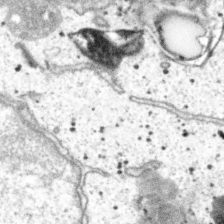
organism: Human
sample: HeLa cells